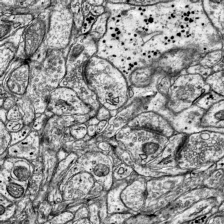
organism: Mouse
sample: Visual Cortex